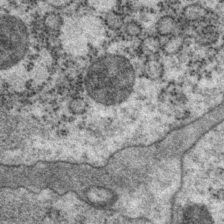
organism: P. pacificus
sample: Pharynx